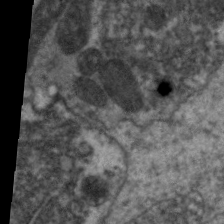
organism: C. elegans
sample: Pharynx